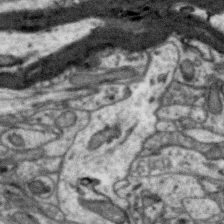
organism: Zebra finch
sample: Brain